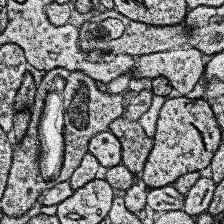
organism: Human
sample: Temporal Lobe